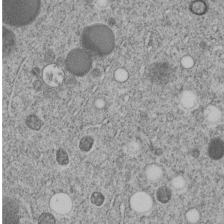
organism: C. elegans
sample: C. elegans embryo early stage